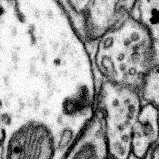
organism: Mouse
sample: Somatosensory cortex neuropil